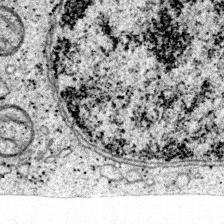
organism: Human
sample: HeLa cells